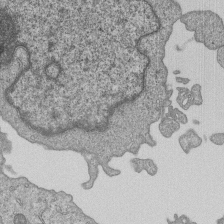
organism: Human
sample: MDA-MB-231 cells